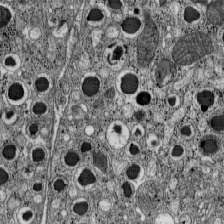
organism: C57BL Mouse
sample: Pancreatic islet